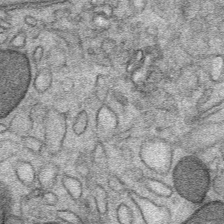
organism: Mouse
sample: Mouse Salivary gland